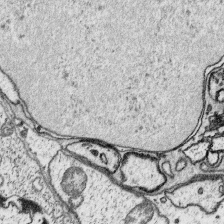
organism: Platynereis dumerilii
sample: Parapodia